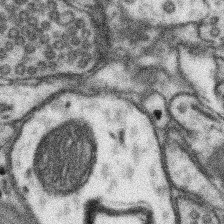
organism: Mouse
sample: Somatosensory cortex neuropil